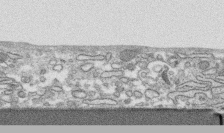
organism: Human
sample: CRL-1474